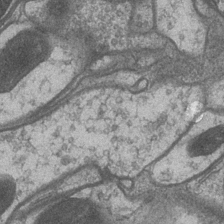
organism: Drosophila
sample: Optic medulla